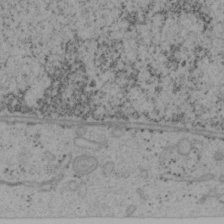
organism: Human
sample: HeLa cells